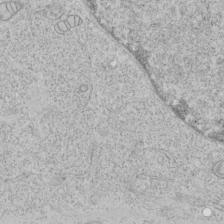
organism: Human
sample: Mitochondria in HCT116 cells